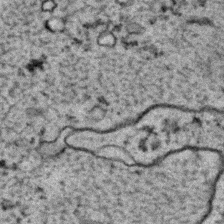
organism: C. elegans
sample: C. elegans embryo